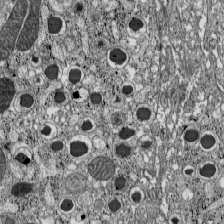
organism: C57BL Mouse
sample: Pancreatic islet